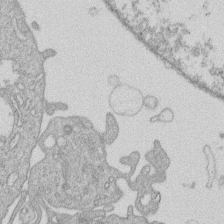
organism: Human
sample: Macrophage cells